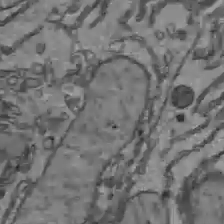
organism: C57BL Mouse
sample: Liver